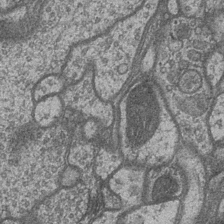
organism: Drosophila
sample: Optic medulla